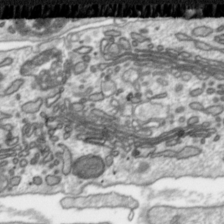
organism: Toxoplasma gondii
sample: Parasites in a vacuole inside a host cell